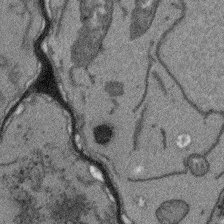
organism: Arabidopsis thaliana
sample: Root tip